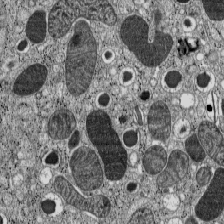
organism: C57BL Mouse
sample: Pancreatic islet